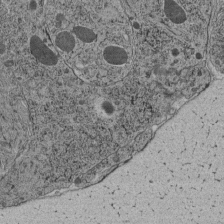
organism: C. elegans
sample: C. elegans pharynx